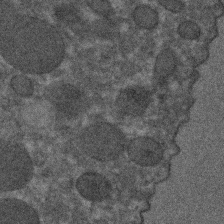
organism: C. elegans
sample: C. elegans embryo